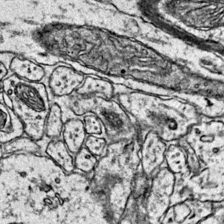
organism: Mouse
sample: Primary visual cortex